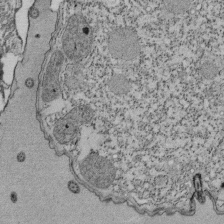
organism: Tetrahymena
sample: Cilia in tetrahymena